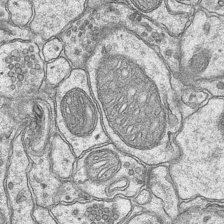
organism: Mouse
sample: CA1 Hippocampus